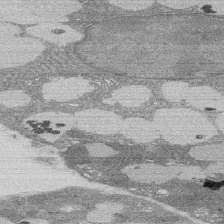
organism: Rat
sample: Salivary granule